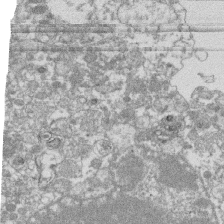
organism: Human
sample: HeLa cell HIV synapse